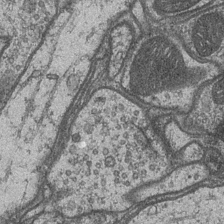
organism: Drosophila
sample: Optic medulla